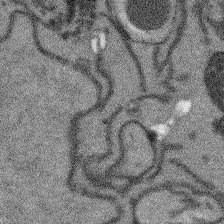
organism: Arabidopsis thaliana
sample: Root tip